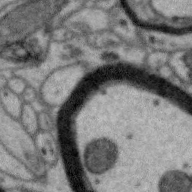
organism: Zebra finch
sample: Brain